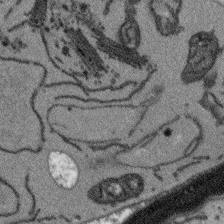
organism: Arabidopsis thaliana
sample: Root tip